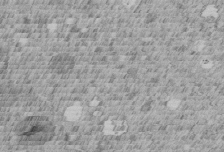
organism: C. elegans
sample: C. elegans embryo early stage